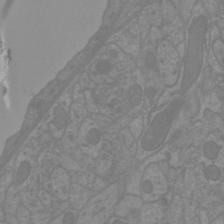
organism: Mouse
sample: Cortical neurons